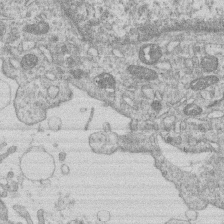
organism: Human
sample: Macrophage cells